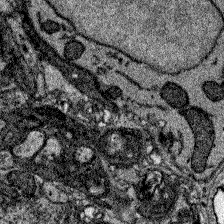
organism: Zebrafish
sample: Larval olfactory bulb